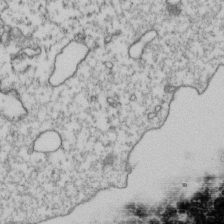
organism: Human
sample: Activated Jurkat CD4+ T cells